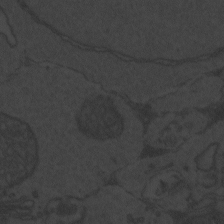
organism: Zebrafish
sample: Macrophage infected with Toxoplasma gondii